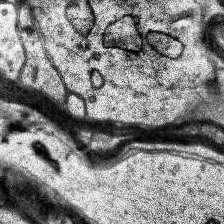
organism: Human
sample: Temporal Lobe